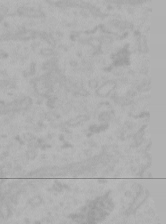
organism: Mouse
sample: Choroid plexus